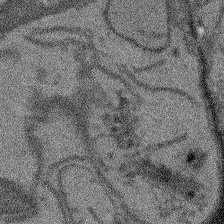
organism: Arabidopsis thaliana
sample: Root tip